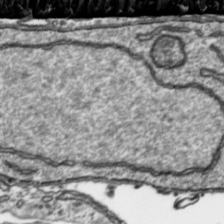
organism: Toxoplasma gondii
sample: Parasites in a vacuole inside a host cell